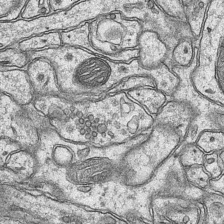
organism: Mouse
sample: CA1 Hippocampus